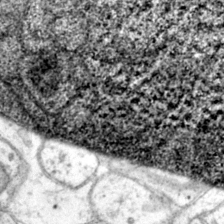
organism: Mouse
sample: Primary visual cortex